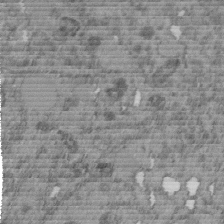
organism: C. elegans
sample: C. elegans embryo early stage